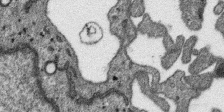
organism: Human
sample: Lung epithelial cells infected with SARS-CoV-2